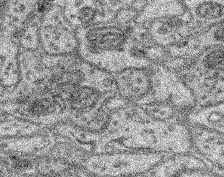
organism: Mouse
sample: Retina